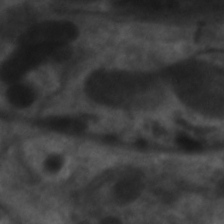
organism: C. elegans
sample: Pharynx